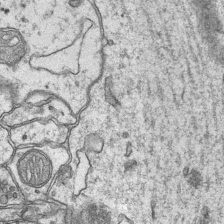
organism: Mouse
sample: CA1 Hippocampus